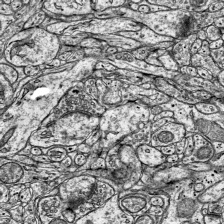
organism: Mouse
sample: Visual Cortex